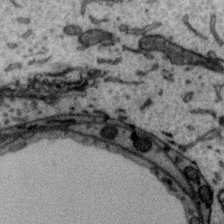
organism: Zebra finch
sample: Brain